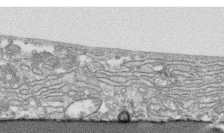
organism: Human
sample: CRL-1474